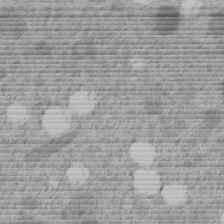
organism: C. elegans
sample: C. elegans embryo early stage